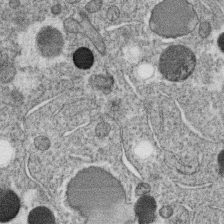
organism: C. elegans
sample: C. elegans oocyte; sperm cells